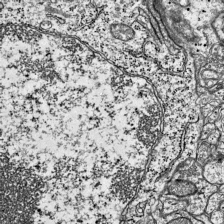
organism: Mouse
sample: Visual Cortex